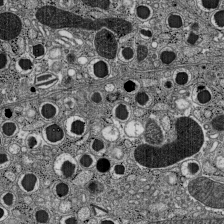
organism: C57BL Mouse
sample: Pancreatic islet